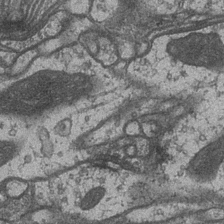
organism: Drosophila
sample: Optic medulla